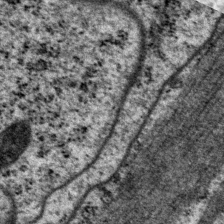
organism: P. pacificus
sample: Pharynx